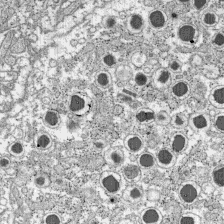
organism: C57BL Mouse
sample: Pancreatic islet